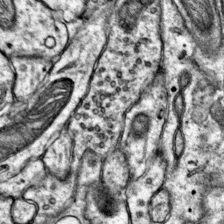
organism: Mouse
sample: Primary visual cortex